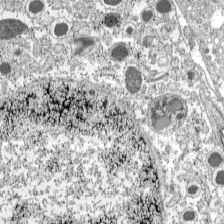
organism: C57BL Mouse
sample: Pancreatic islet